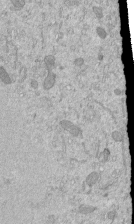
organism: Mouse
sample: ED-1 cell nuclei; centrioles